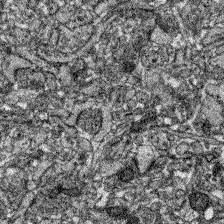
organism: Zebrafish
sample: Larval olfactory bulb